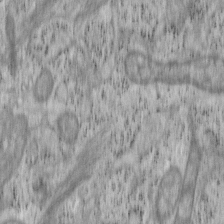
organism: Human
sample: HeLa cells